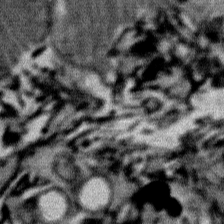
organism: Mouse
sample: Mouse Salivary gland